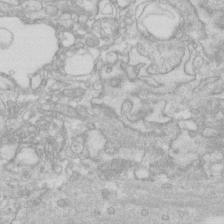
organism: Human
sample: Fibroblast cells